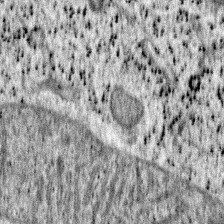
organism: Human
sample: HeLa cells